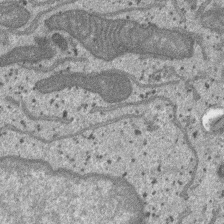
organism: Human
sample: Lung epithelial cells infected with SARS-CoV-2